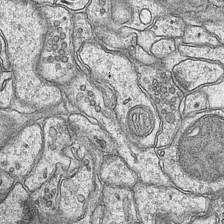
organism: Mouse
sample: CA1 Hippocampus